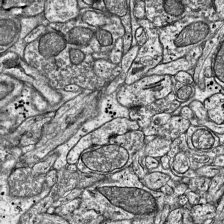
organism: Mouse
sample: Visual Cortex